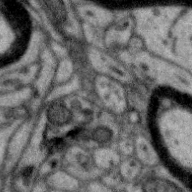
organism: Zebra finch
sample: Brain